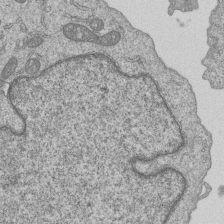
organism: Human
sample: MDA-MB-231 cells